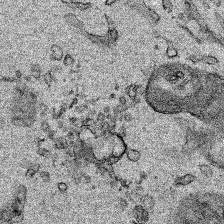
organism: Human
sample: Mitochondria in HCT116 cells